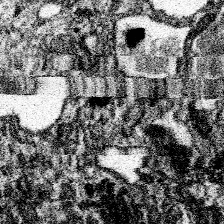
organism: Spongilla lacustris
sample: Neuroid cell